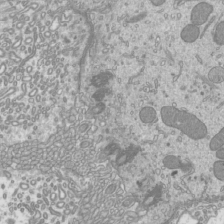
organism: Mouse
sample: Cilia; mouse epididymis